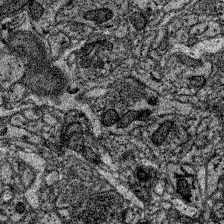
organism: Zebrafish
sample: Larval olfactory bulb